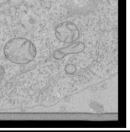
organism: Human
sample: Mitochondria in HCT116 cells